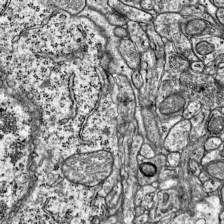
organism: Mouse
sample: Visual Cortex